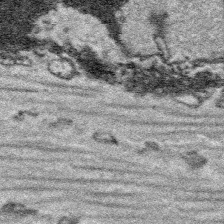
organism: Platynereis dumerilii